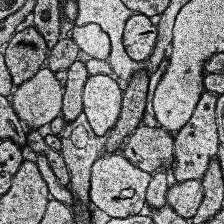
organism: Human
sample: Temporal Lobe